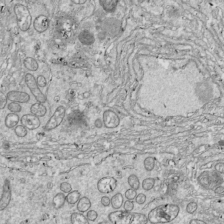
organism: Drosophila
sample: Cell division; meiosis; drosophila spermatocytes